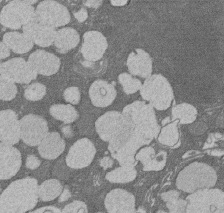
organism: Rat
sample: Salivary granule